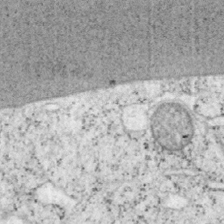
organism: Mouse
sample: OT-I killer T cells with ID8 ovarian cancer cells